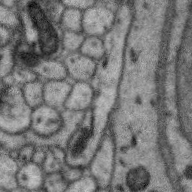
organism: Zebra finch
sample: Brain